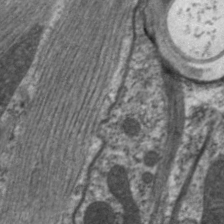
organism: C. elegans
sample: Pharynx